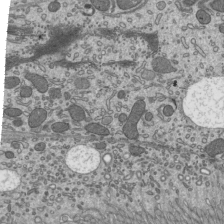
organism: Mouse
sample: Mouse epididymis efferent ductule cilia